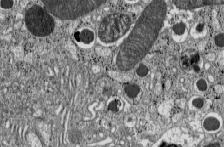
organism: C57BL Mouse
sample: Pancreatic islet